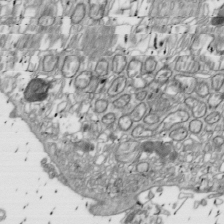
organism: Drosophila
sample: Cell division; meiosis; drosophila spermatocytes